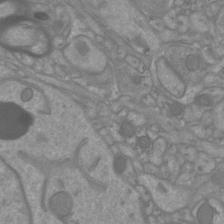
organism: Mouse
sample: Cortical neurons